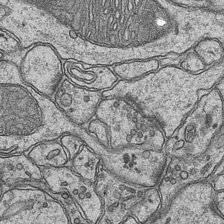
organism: Mouse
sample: CA1 Hippocampus